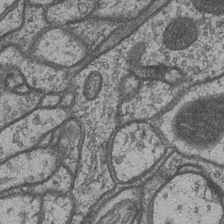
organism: Drosophila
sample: Optic medulla